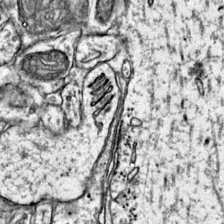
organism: Mouse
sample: Primary visual cortex